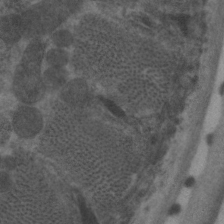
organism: C. elegans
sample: Pharynx